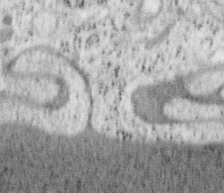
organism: Mouse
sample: OT-I killer T cells with ID8 ovarian cancer cells